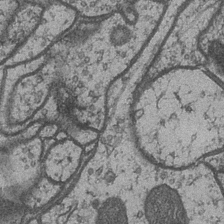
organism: Drosophila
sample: Optic medulla